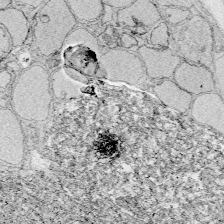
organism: Zebrafish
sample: Whole-Brain